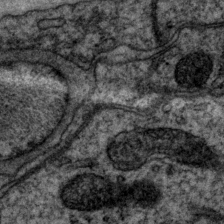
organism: P. pacificus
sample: Pharynx